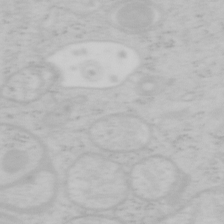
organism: Mouse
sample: OT-I killer T cells with ID8 ovarian cancer cells